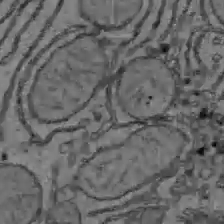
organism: C57BL Mouse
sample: Liver